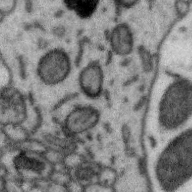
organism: Zebra finch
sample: Brain